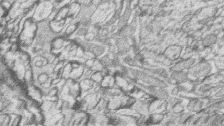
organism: Zebrafish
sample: synaptic ribbons in rod cells and cone cells